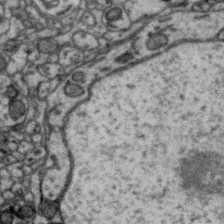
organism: Zebra finch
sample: Brain